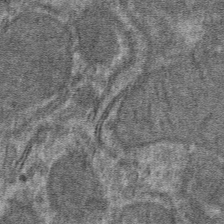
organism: Mouse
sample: Mouse hepatocytes